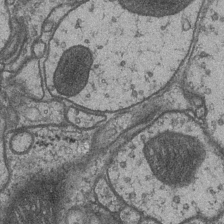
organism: Drosophila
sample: Optic medulla